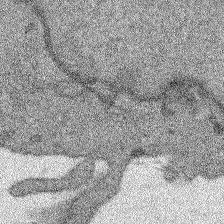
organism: Human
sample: HeLa cells